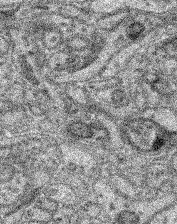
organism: Mouse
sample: Retina